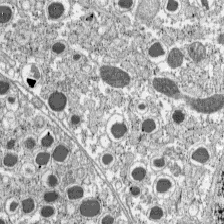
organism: C57BL Mouse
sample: Pancreatic islet